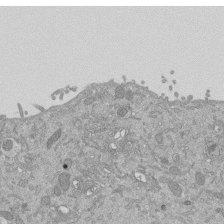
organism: Mouse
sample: ED-1 cell nuclei; centrioles